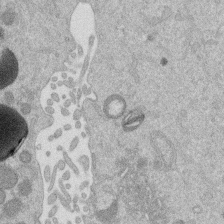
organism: Mouse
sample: Dividing mouse embryo 1 cell stage